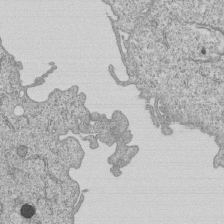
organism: Human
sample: MDA-MB-231 cells